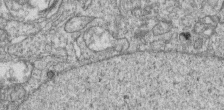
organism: Human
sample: HeLa cell HIV synapse